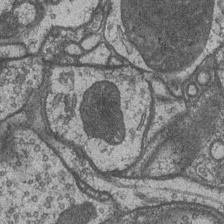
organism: Drosophila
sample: Optic medulla